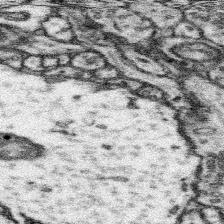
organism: Mouse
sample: Somatosensory cortex neuropil